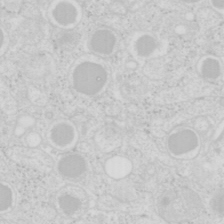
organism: Mouse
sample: Pancreas